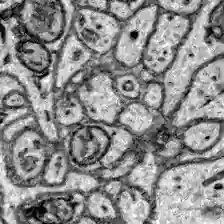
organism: Zebrafish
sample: Brain